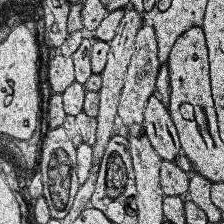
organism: Human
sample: Temporal Lobe